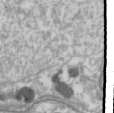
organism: Drosophila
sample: Cell division; meiosis; drosophila spermatocytes